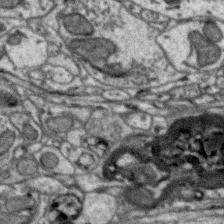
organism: Zebra finch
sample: Brain